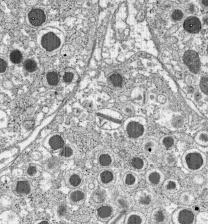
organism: C57BL Mouse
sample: Pancreatic islet